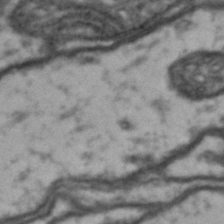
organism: Drosophila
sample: Brain